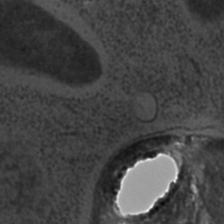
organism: C. elegans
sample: C. elegans embryo